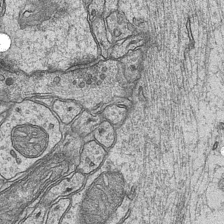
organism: Mouse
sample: CA1 Hippocampus